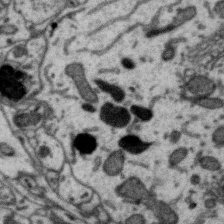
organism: Zebra finch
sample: Brain